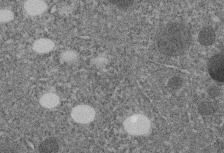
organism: C. elegans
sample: C. elegans embryo early stage